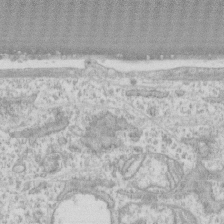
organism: Human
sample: CRL-1474